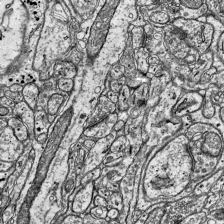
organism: Mouse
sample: Visual Cortex